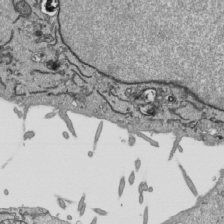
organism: Human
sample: Mitochondria in HCT116 cells